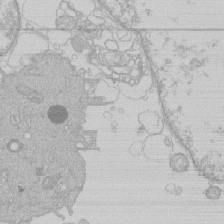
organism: Human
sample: Macrophage cells